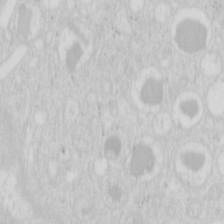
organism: Mouse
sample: Pancreas